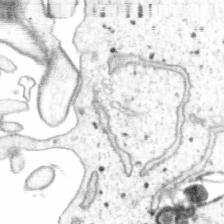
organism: Human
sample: HeLa cells